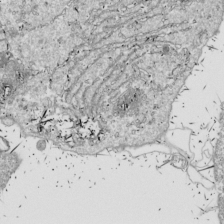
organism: Drosophila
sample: Cell division; meiosis; drosophila spermatocytes